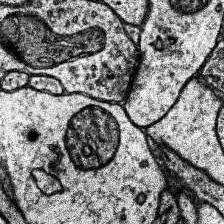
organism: Human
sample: Temporal Lobe